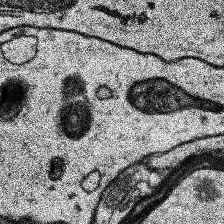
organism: Human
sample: Temporal Lobe